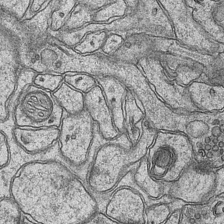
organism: Mouse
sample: CA1 Hippocampus